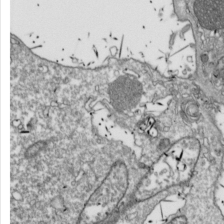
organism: Drosophila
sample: Cell division; meiosis; drosophila spermatocytes